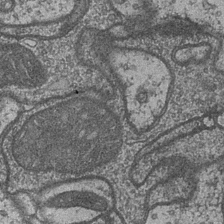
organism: Drosophila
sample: Optic medulla